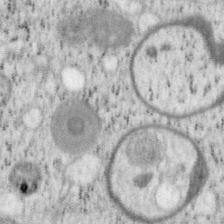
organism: Mouse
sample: OT-I killer T cells with ID8 ovarian cancer cells